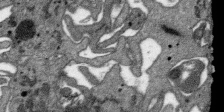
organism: Human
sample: Lung epithelial cells, uninfected (mock) control